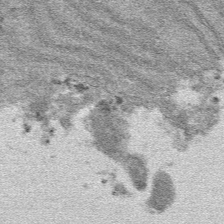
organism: Mouse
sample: Mouse hepatocytes